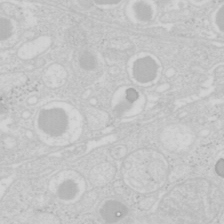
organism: Mouse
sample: Pancreas